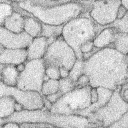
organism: Rabbit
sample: Retina